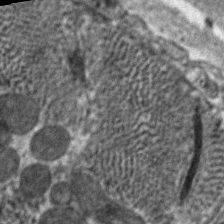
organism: C. elegans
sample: Pharynx